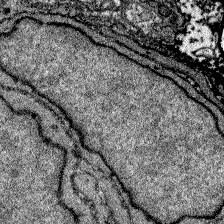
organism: Zebrafish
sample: Larval olfactory bulb